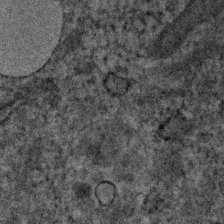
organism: Human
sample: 1205lu cells